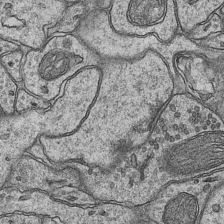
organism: Mouse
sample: CA1 Hippocampus